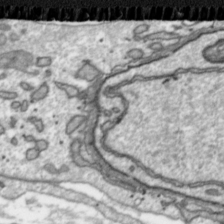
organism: Toxoplasma gondii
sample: Parasites in a vacuole inside a host cell